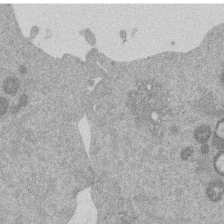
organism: Mouse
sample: Dividing mouse embryo 1 cell stage